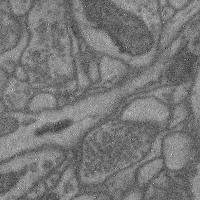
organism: Mouse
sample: Cerebral cortex